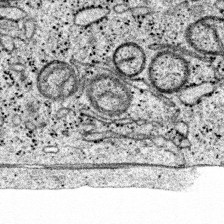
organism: Human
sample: HeLa cells